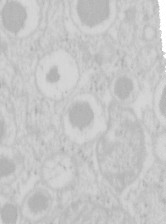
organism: Mouse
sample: Pancreas